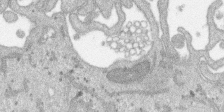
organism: Human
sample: Lung epithelial cells infected with SARS-CoV-2